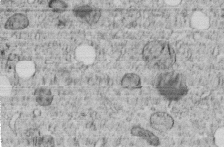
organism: C. elegans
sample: C. elegans embryo early stage